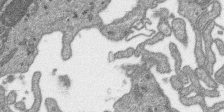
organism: Human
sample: Lung epithelial cells infected with SARS-CoV-2